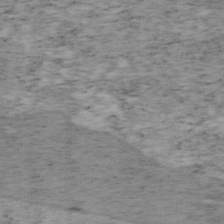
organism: Mouse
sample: OT-I killer T cells with ID8 ovarian cancer cells